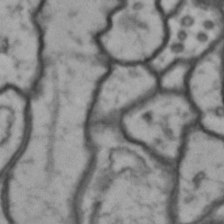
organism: Drosophila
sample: Brain